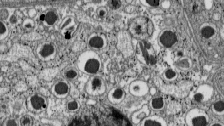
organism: C57BL Mouse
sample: Pancreatic islet